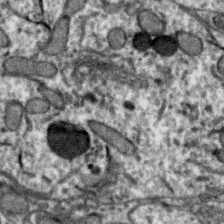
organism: Zebra finch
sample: Brain